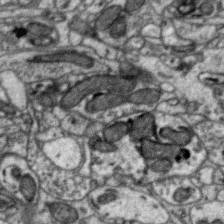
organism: Zebra finch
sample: Brain